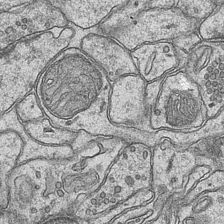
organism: Mouse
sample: CA1 Hippocampus